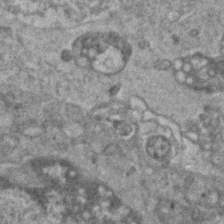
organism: Human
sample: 1205lu cells